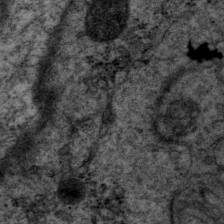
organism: P. pacificus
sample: Pharynx